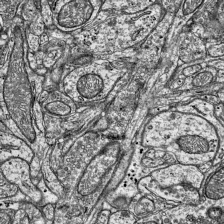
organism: Mouse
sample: Visual Cortex